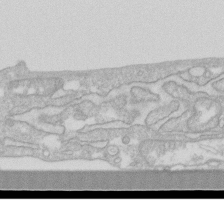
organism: Human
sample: Fibroblast cells